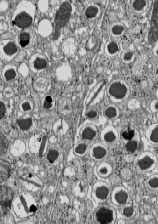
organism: C57BL Mouse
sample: Pancreatic islet